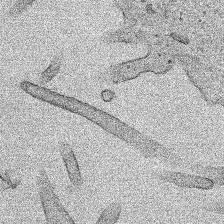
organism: Human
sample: Mitochondria in HCT116 cells